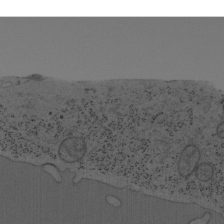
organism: Mouse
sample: OT-I killer T cells with ID8 ovarian cancer cells